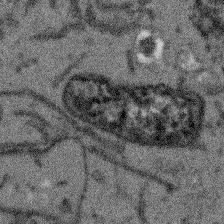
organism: Arabidopsis thaliana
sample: Root tip